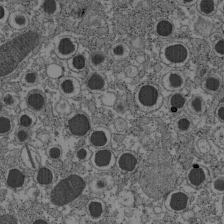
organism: C57BL Mouse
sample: Pancreatic islet